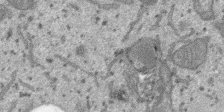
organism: Human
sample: Lung epithelial cells infected with SARS-CoV-2